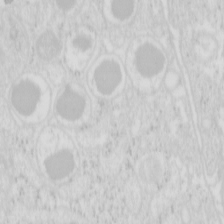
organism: Mouse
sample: Pancreas